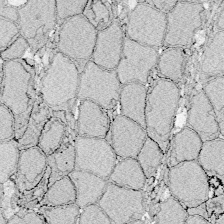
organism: Zebrafish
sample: Whole-Brain